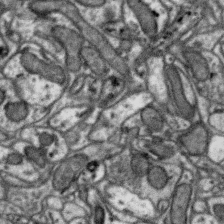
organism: Zebra finch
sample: Brain